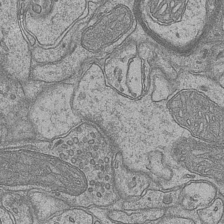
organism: Mouse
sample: CA1 Hippocampus